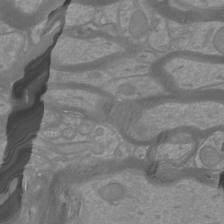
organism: Mouse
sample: Cortical neurons